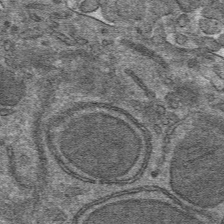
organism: Mouse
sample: Mouse hepatocytes